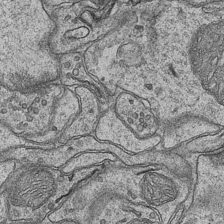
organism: Mouse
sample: CA1 Hippocampus